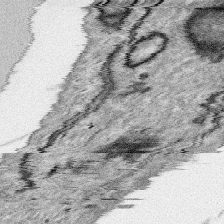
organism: Human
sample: HeLa cells